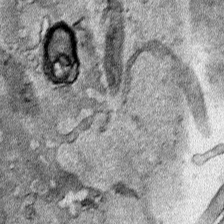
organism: Human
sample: Mitochondria in HCT116 cells